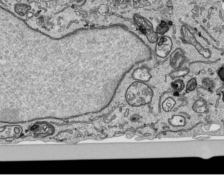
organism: Human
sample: Mitochondria in HCT116 cells